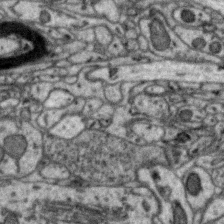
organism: Zebra finch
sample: Brain